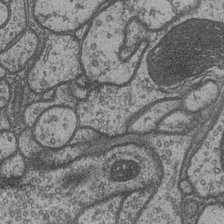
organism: Drosophila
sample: Optic medulla